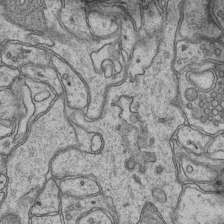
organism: Mouse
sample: CA1 Hippocampus